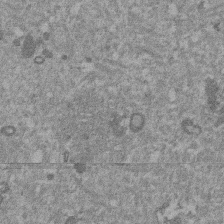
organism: Mouse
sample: Dividing mouse embryo 1 cell stage